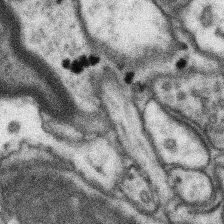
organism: Mouse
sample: Somatosensory cortex neuropil